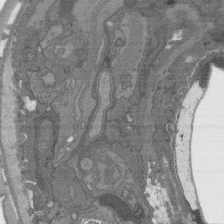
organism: C. elegans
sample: AFD neurons C. elegans